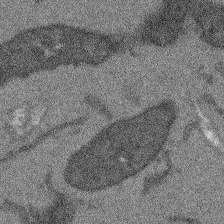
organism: Arabidopsis thaliana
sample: Root tip